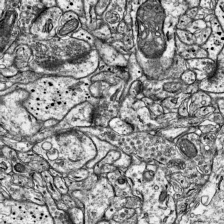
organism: Mouse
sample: Visual Cortex